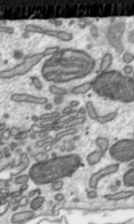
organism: Toxoplasma gondii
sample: Parasites in a vacuole inside a host cell